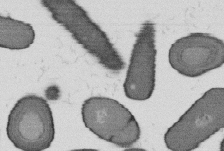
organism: B. subtilis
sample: Bacterial spore